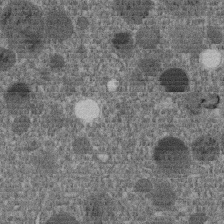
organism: C. elegans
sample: C. elegans embryo early stage